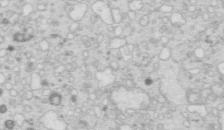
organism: Mouse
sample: Multiciliated cells